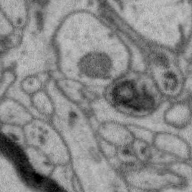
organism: Zebra finch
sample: Brain